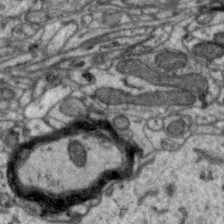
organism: Zebra finch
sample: Brain